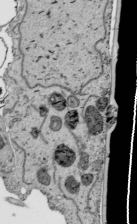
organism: Human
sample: Mitochondria in HCT116 cells